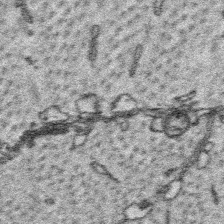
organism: Platynereis dumerilii